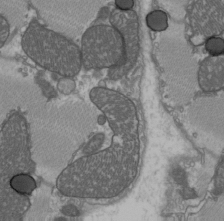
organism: C57BL Mouse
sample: Heart